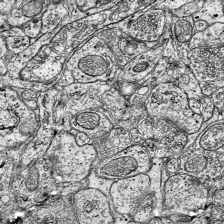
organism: Mouse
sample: Visual Cortex